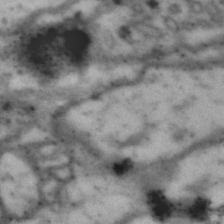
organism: Drosophila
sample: Brain